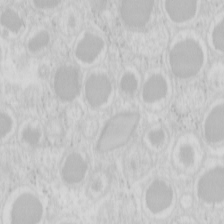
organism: Mouse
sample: Pancreas